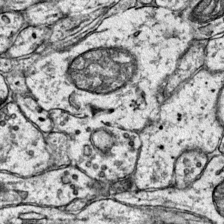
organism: Mouse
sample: Primary visual cortex